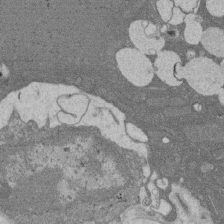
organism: Rat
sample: Salivary granule